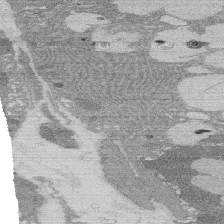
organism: Rat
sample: Salivary granule